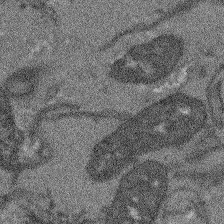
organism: Arabidopsis thaliana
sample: Root tip